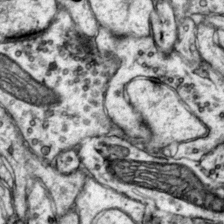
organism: Mouse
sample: Primary visual cortex